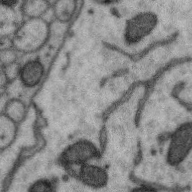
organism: Zebra finch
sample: Brain